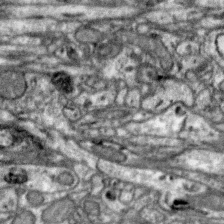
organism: Zebra finch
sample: Brain